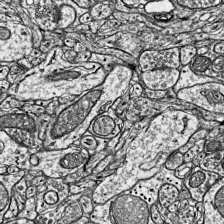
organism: Mouse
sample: Visual Cortex